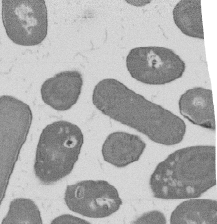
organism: B. subtilis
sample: Bacterial spore